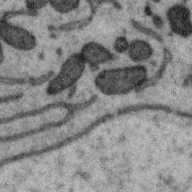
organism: Zebra finch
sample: Brain